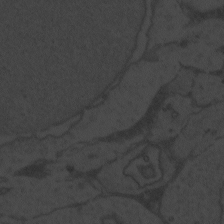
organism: Zebrafish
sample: Macrophage infected with Toxoplasma gondii